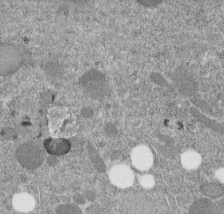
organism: C. elegans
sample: C. elegans embryo early stage